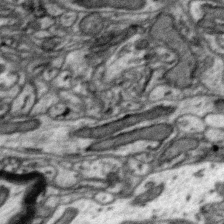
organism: Zebra finch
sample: Brain